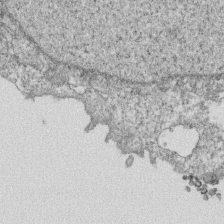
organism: Human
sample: HeLa cell HIV synapse